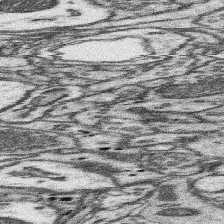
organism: Mouse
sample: Somatosensory cortex neuropil